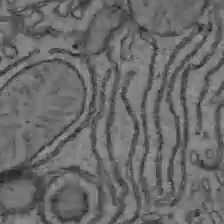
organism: C57BL Mouse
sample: Liver